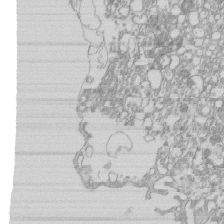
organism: Mouse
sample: Macrophages